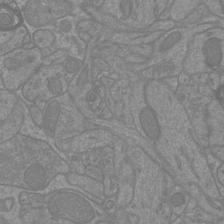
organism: Mouse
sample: Cortical neurons